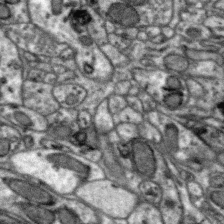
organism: Zebra finch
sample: Brain